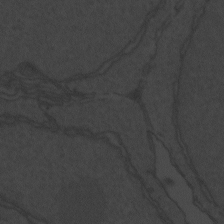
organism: Zebrafish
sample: Macrophage infected with Toxoplasma gondii